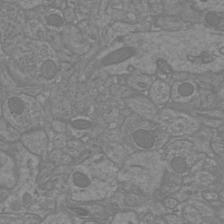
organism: Mouse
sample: Cortical neurons